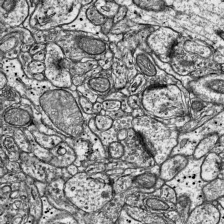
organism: Mouse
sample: Visual Cortex